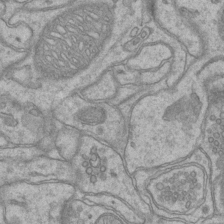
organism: Mouse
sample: CA1 Hippocampus